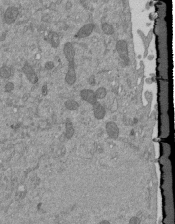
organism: Mouse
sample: ED-1 cell nuclei; centrioles